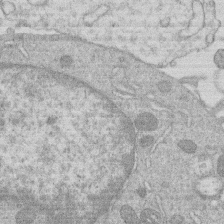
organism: Human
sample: Macrophage cells